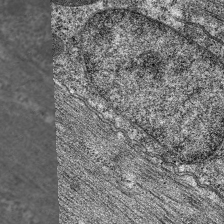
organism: C. elegans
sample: Pharynx